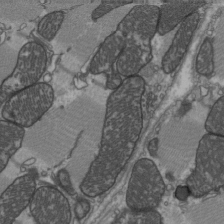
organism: C57BL Mouse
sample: Heart